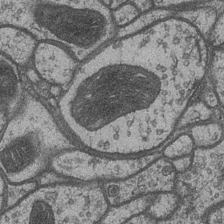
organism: Drosophila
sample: Optic medulla